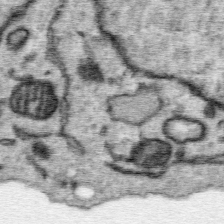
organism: Human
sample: HeLa cells